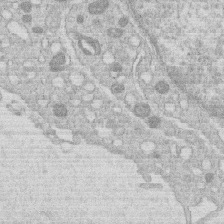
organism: Human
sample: Macrophage cells